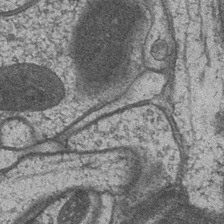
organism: Drosophila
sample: Optic medulla